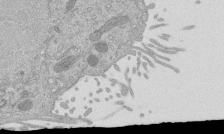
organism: Mouse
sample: ED-1 cell nuclei; centrioles